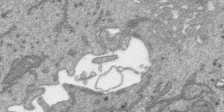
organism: Human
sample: Lung epithelial cells infected with SARS-CoV-2